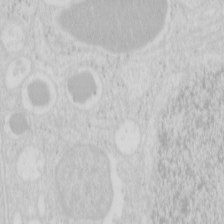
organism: Mouse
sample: Pancreas